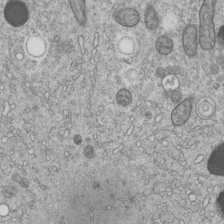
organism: C. elegans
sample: C. elegans embryo early stage